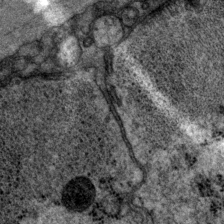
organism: P. pacificus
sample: Pharynx